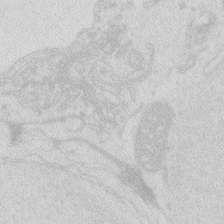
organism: Zebrafish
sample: Macrophage